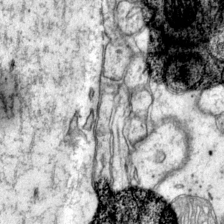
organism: Mouse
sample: Primary visual cortex